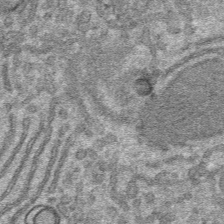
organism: Mouse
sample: Mouse hepatocytes